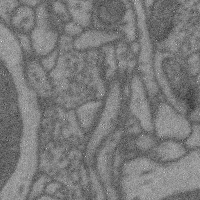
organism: Mouse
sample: Cerebral cortex